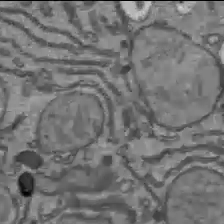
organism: C57BL Mouse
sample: Liver